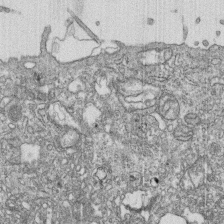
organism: Human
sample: HeLa cell HIV synapse